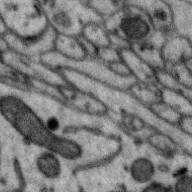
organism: Zebra finch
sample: Brain